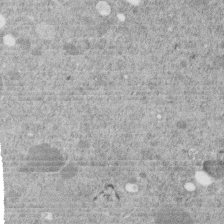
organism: C. elegans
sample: C. elegans embryo early stage